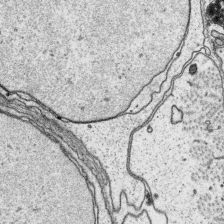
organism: Platynereis dumerilii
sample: Parapodia